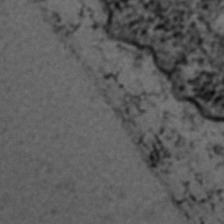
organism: C. elegans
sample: C. elegans embryo